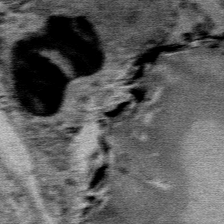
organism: Mouse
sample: Mouse Salivary gland